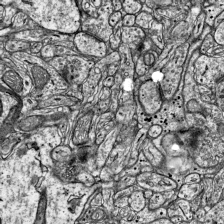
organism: Mouse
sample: Visual Cortex